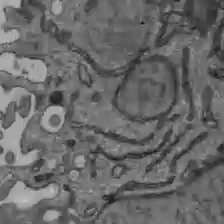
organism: C57BL Mouse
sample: Liver